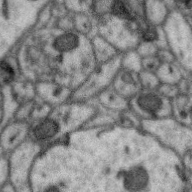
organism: Zebra finch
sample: Brain